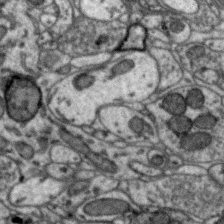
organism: Zebra finch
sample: Brain